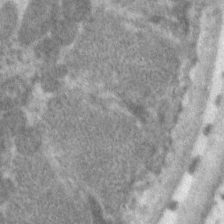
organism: C. elegans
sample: Pharynx